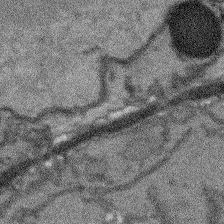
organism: Arabidopsis thaliana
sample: Root tip